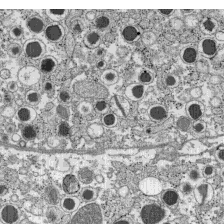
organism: C57BL Mouse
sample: Pancreatic islet